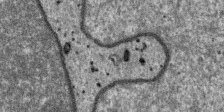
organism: Human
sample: Lung epithelial cells, uninfected (mock) control